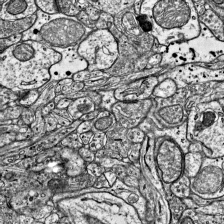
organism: Mouse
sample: Visual Cortex